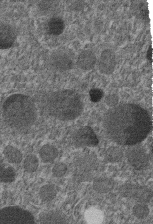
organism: C. elegans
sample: C. elegans embryo early stage